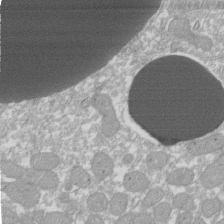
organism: Xenopus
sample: Cilia; centrioles in frog embryo cells